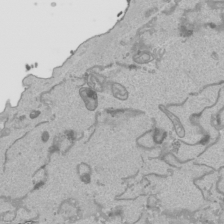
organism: Human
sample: Mitochondria in HCT116 cells